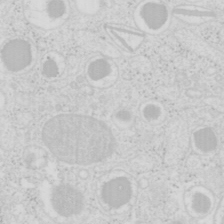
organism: Mouse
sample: Pancreas